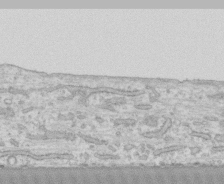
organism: Human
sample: CRL-1474